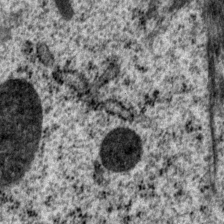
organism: P. pacificus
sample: Pharynx